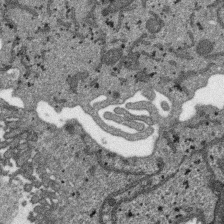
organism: Human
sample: Lung epithelial cells infected with SARS-CoV-2